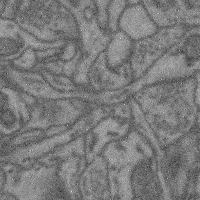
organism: Mouse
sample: Cerebral cortex